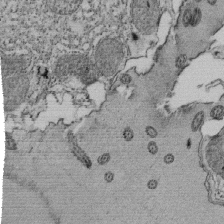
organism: Tetrahymena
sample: Cilia in tetrahymena